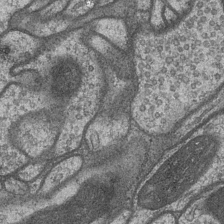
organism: Drosophila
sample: Optic medulla